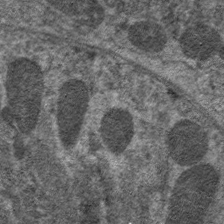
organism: C. elegans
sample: Pharynx